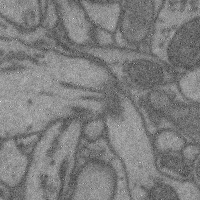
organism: Mouse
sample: Cerebral cortex